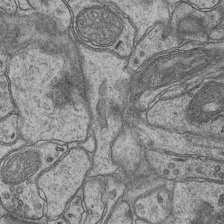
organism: Mouse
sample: CA1 Hippocampus